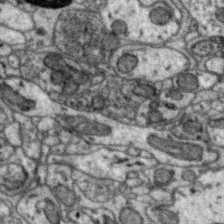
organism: Zebra finch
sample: Brain